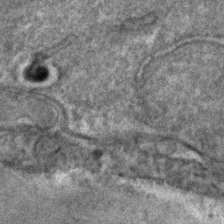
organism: C. elegans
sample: C. elegans embryo